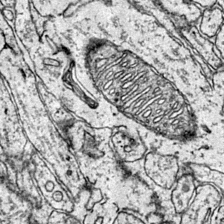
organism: Mouse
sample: Primary visual cortex